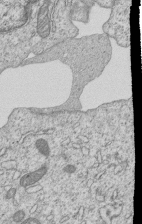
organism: Human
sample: MDA-MB-231 cells